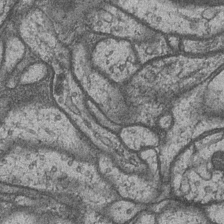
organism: Drosophila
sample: Optic medulla